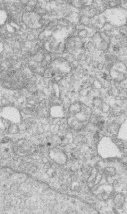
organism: Human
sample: HeLa cell HIV synapse